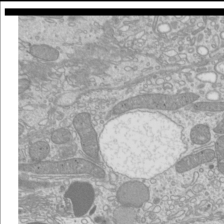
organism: Mouse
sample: Cilia; mouse epididymis